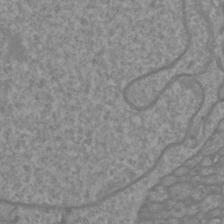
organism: Mouse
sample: Cortical neurons